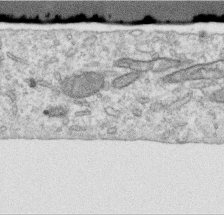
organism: Human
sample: Centriole in RPE cells